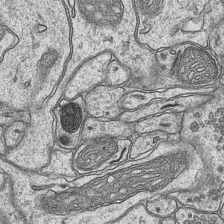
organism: Mouse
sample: CA1 Hippocampus